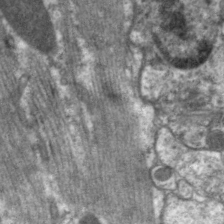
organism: C. elegans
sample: Pharynx